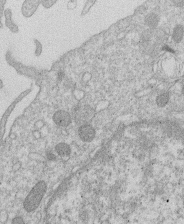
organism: Human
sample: Macrophage cells